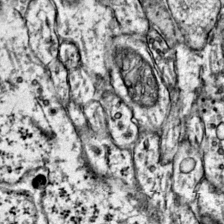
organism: Mouse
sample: Primary visual cortex